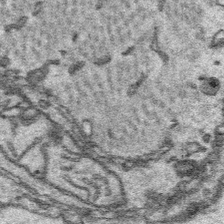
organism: Platynereis dumerilii